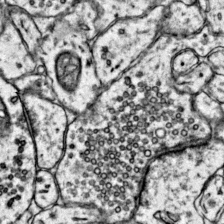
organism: Mouse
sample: Primary visual cortex